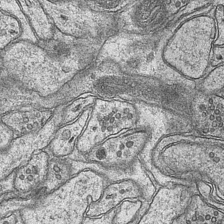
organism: Mouse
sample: CA1 Hippocampus